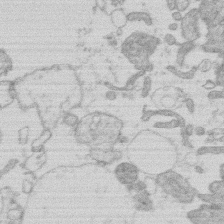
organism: Human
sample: Macrophage cells